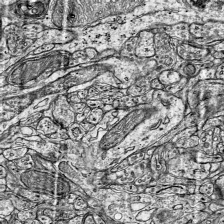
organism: Mouse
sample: Visual Cortex